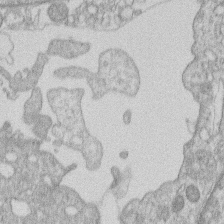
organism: Human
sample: Macrophage cells